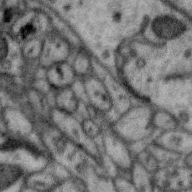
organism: Zebra finch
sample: Brain